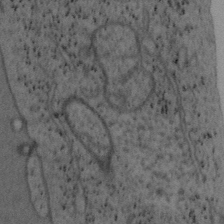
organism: Human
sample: HeLa cells